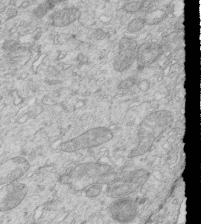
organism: Mouse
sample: Multiciliated cells